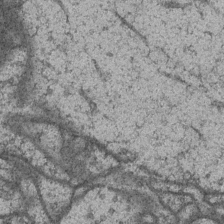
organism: Drosophila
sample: Optic medulla